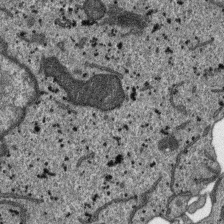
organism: Human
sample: Lung epithelial cells infected with SARS-CoV-2